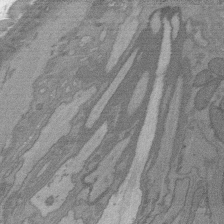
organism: C. elegans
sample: AFD neurons C. elegans